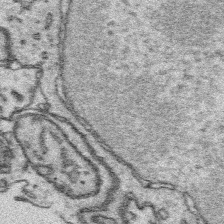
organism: Platynereis dumerilii